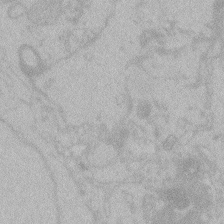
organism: Zebrafish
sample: Macrophage infected with Toxoplasma gondii